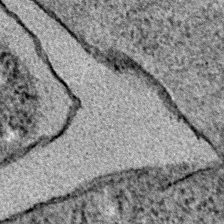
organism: E. coli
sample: E. Coli Bacteria